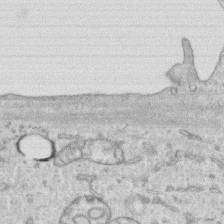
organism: Human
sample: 1205lu cells